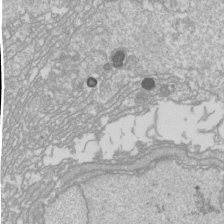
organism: Drosophila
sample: Cell division; meiosis; drosophila spermatocytes